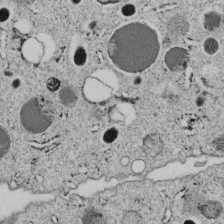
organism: C. elegans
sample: C. elegans embryo early stage